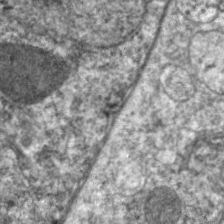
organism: C. elegans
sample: Pharynx